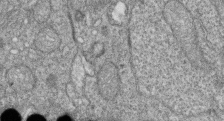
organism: Zebrafish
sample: Cilia; retinal pigment epithelium